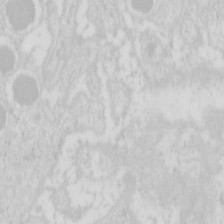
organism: Mouse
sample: Pancreas